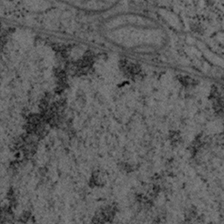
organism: Human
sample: HeLa cells